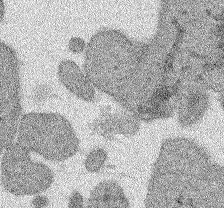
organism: Human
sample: HeLa cells